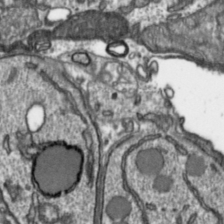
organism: Toxoplasma gondii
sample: Parasites in a vacuole inside a host cell